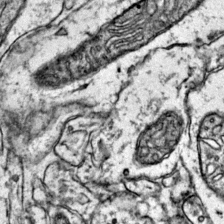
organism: Mouse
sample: Primary visual cortex